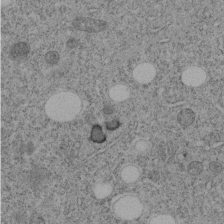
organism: C. elegans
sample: C. elegans embryo early stage